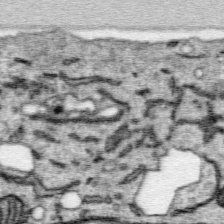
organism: Human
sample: HeLa cells